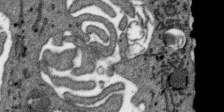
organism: Human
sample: Lung epithelial cells, uninfected (mock) control